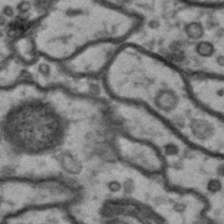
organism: Drosophila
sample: Brain